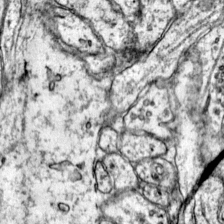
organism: Mouse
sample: Primary visual cortex